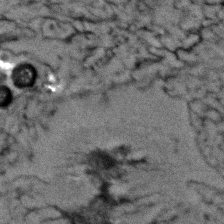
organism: Zebrafish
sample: Zebrafish embryo